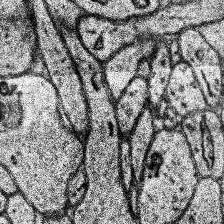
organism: Human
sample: Temporal Lobe